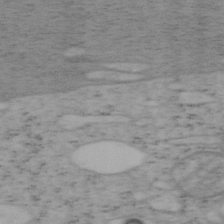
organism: Mouse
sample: OT-I killer T cells with ID8 ovarian cancer cells